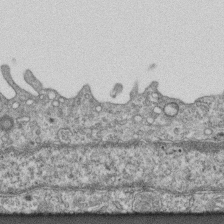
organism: Mouse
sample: Centriole in ependymal cells